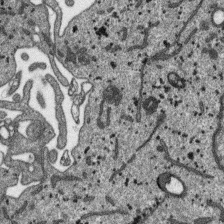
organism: Human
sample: Lung epithelial cells infected with SARS-CoV-2